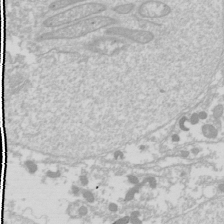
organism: Drosophila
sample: Cell division; meiosis; drosophila spermatocytes